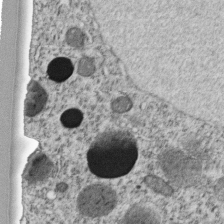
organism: C. elegans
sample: C. elegans embryo early stage